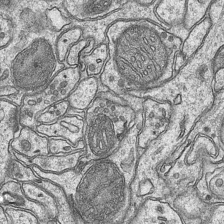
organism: Mouse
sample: CA1 Hippocampus